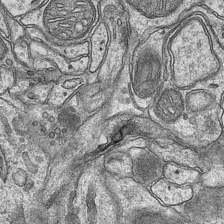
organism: Mouse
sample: CA1 Hippocampus